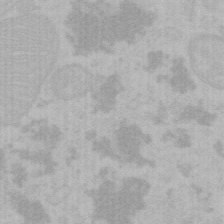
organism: Mouse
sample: Choroid plexus